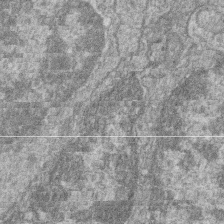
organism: Zebrafish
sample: Cilia; retinal pigment epithelium